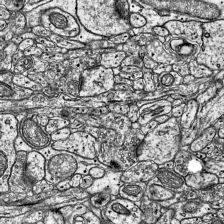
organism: Mouse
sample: Visual Cortex